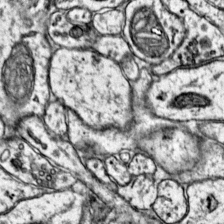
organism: Mouse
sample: Primary visual cortex